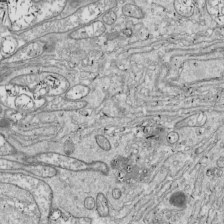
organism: Drosophila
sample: Cell division; meiosis; drosophila spermatocytes